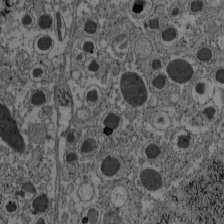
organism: C57BL Mouse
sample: Pancreatic islet